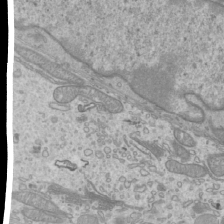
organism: Mouse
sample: Cilia; mouse epididymis